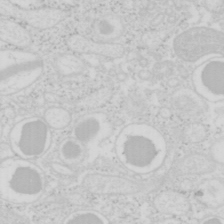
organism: Mouse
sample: Pancreas